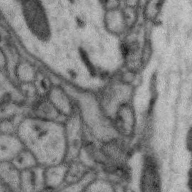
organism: Zebra finch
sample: Brain